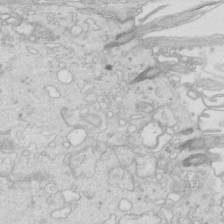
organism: Mouse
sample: Multiciliated cells